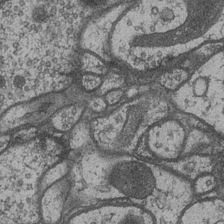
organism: Drosophila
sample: Optic medulla